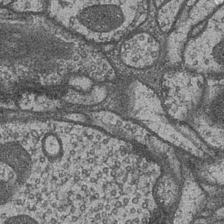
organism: Drosophila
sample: Optic medulla